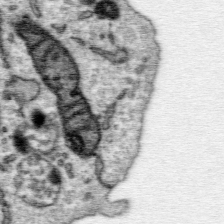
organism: Human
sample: HeLa cells